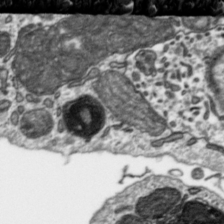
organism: Toxoplasma gondii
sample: Parasites in a vacuole inside a host cell